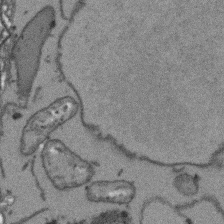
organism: Arabidopsis thaliana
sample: Root tip